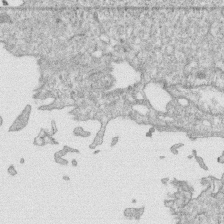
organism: Human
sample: HeLa cell HIV synapse